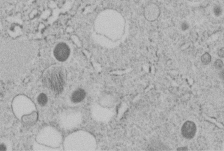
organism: C. elegans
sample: C. elegans embryo early stage